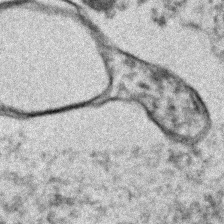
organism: Human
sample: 1205lu cells